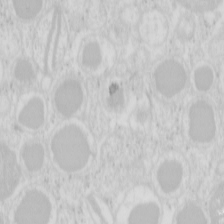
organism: Mouse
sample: Pancreas